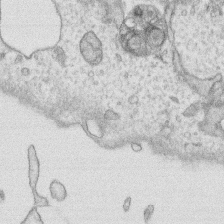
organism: Human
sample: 1205lu cells